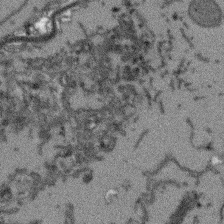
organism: Arabidopsis thaliana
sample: Root tip